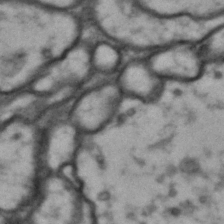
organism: Drosophila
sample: Brain